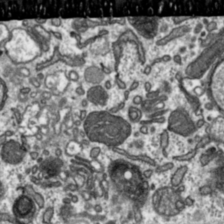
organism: Toxoplasma gondii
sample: Parasites in a vacuole inside a host cell